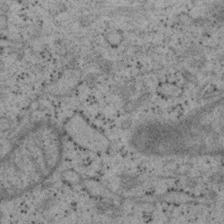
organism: Human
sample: HeLa cells